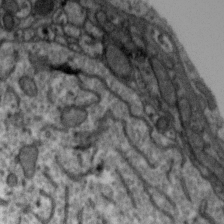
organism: Zebra finch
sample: Brain